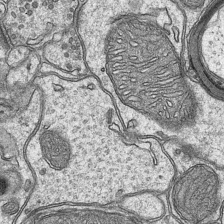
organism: Mouse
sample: CA1 Hippocampus